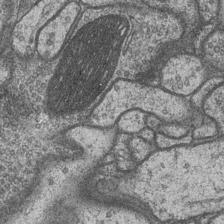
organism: Drosophila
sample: Optic medulla